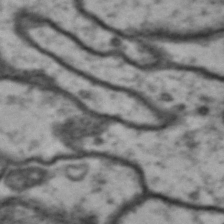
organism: Drosophila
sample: Brain